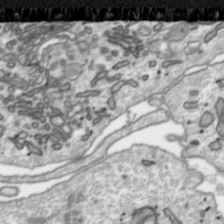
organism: Toxoplasma gondii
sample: Parasites in a vacuole inside a host cell